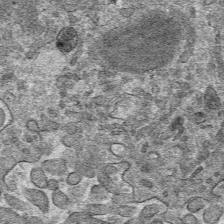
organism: Mouse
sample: Mouse hepatocytes